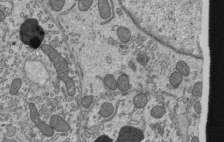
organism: Mouse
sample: Mouse epididymis efferent ductule cilia